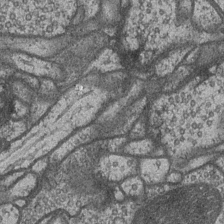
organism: Drosophila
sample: Optic medulla